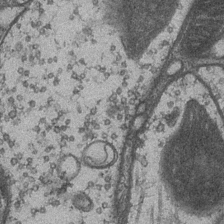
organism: Drosophila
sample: Optic medulla